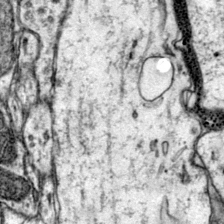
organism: Mouse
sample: Primary visual cortex